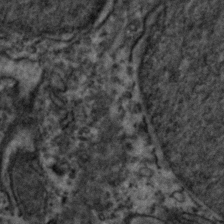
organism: Zebrafish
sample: Zebrafish embryo